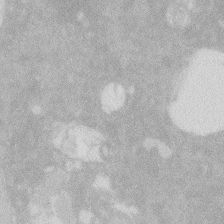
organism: Zebrafish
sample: Macrophage